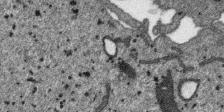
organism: Human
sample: Lung epithelial cells infected with SARS-CoV-2